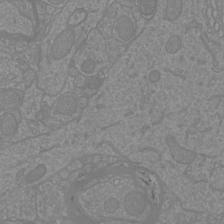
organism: Mouse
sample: Cortical neurons